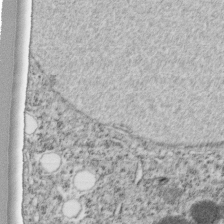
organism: C. elegans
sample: C. elegans embryo early stage